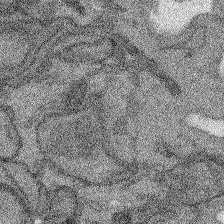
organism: Human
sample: HeLa cells